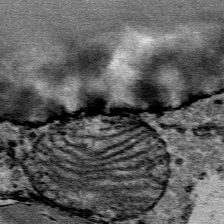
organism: Mouse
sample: Mouse Salivary gland